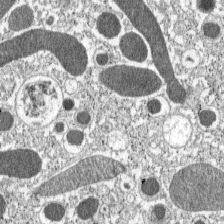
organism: C57BL Mouse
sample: Pancreatic islet